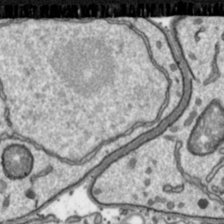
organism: Toxoplasma gondii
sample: Parasites in a vacuole inside a host cell